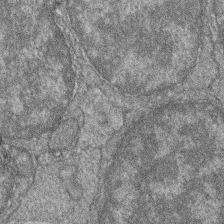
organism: Zebrafish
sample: Cilia; retinal pigment epithelium